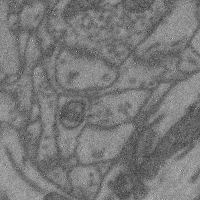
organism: Mouse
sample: Cerebral cortex